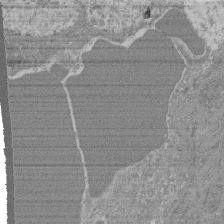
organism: Mouse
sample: Glomerulus